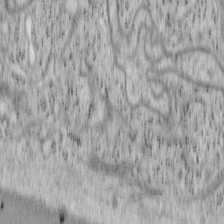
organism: Human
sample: HeLa cells